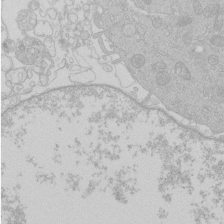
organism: Human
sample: Macrophage cells